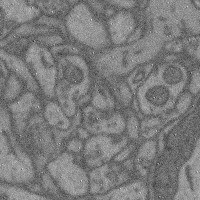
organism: Mouse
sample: Cerebral cortex